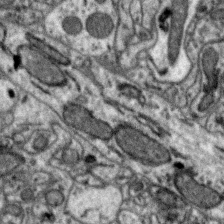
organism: Zebra finch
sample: Brain